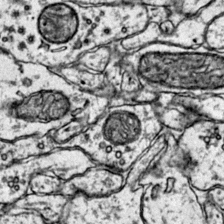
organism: Mouse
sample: Primary visual cortex